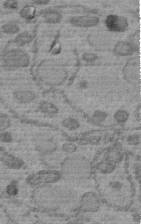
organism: C. elegans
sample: C. elegans embryo early stage